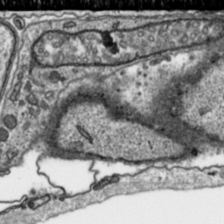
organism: Toxoplasma gondii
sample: Parasites in a vacuole inside a host cell